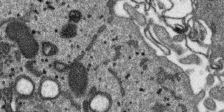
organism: Human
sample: Lung epithelial cells infected with SARS-CoV-2